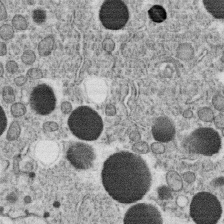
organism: C. elegans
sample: C. elegans oocyte; sperm cells